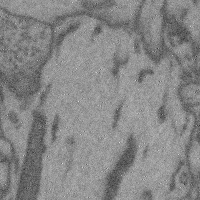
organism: Mouse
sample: Cerebral cortex